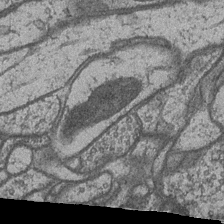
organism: Drosophila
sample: Optic medulla